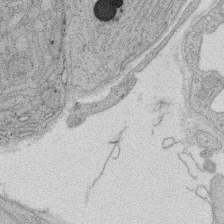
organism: Rat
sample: Salivary granule